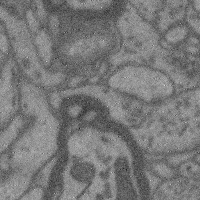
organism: Mouse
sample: Cerebral cortex